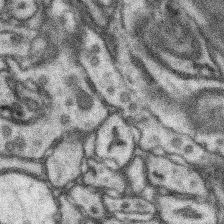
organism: Mouse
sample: Somatosensory cortex neuropil